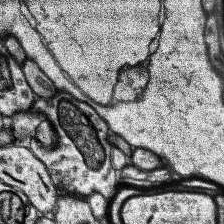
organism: Human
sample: Temporal Lobe